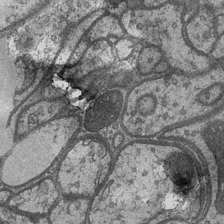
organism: Drosophila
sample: Optic medulla